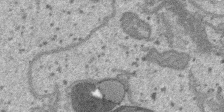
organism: Human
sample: Lung epithelial cells infected with SARS-CoV-2